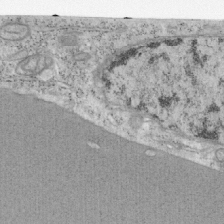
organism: Human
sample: HeLa cells